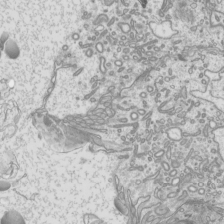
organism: Mouse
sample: Cilia; mouse epididymis